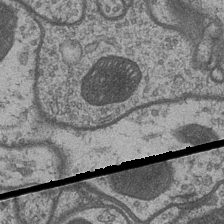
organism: Drosophila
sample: Optic medulla